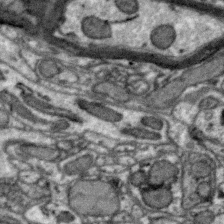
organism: Zebra finch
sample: Brain